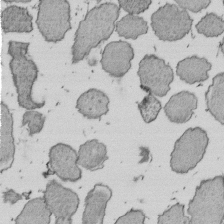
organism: E. coli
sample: Bacterial nucleoid